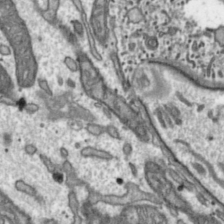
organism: Toxoplasma gondii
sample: Parasites in a vacuole inside a host cell